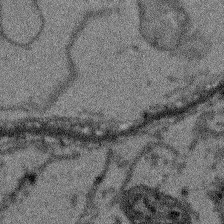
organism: Arabidopsis thaliana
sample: Root tip